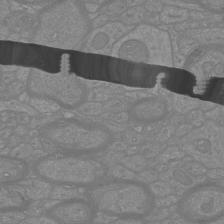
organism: Mouse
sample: Cortical neurons